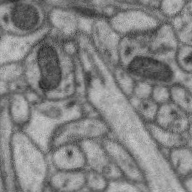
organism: Zebra finch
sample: Brain